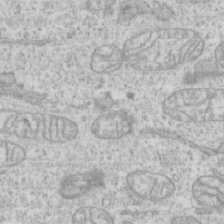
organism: Human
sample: CRL-1474